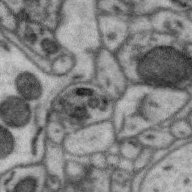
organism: Zebra finch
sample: Brain